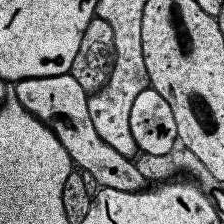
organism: Human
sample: Temporal Lobe